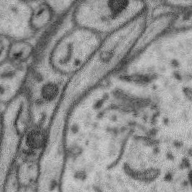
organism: Zebra finch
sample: Brain